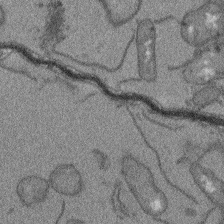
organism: Arabidopsis thaliana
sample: Root tip